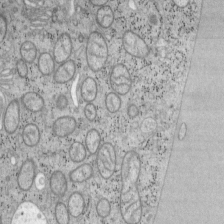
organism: Mouse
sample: OT-I killer T cells with ID8 ovarian cancer cells